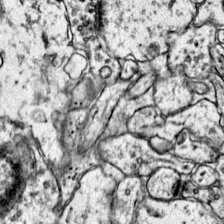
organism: Mouse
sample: Primary visual cortex